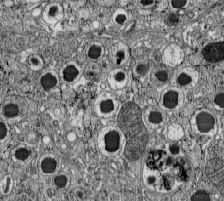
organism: C57BL Mouse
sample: Pancreatic islet